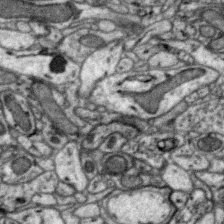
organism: Zebra finch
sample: Brain